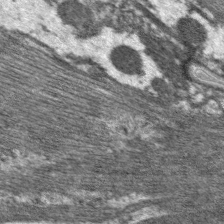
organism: C. elegans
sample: Pharynx